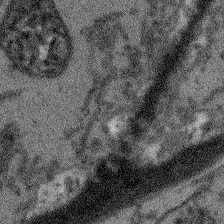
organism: Arabidopsis thaliana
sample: Root tip